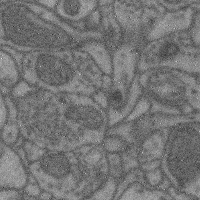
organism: Mouse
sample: Cerebral cortex